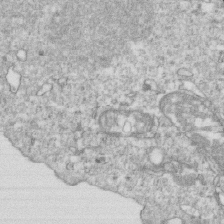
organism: Mouse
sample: Activated OT-1 CD8+ T cells